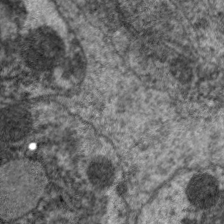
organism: C. elegans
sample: Pharynx